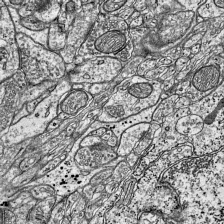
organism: Mouse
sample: Visual Cortex